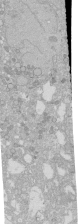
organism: Human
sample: Caco-2 cells